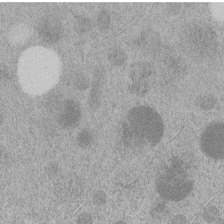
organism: C. elegans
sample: C. elegans embryo early stage